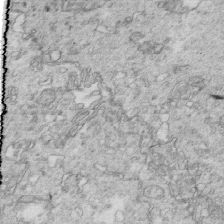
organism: Mouse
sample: Multiciliated cells